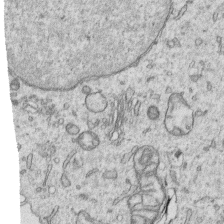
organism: Human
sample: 1205lu cells